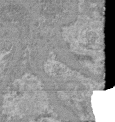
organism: Mouse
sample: Glomerulus